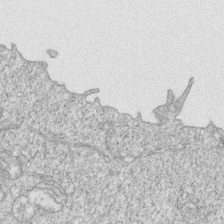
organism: Human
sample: HeLa cell HIV synapse